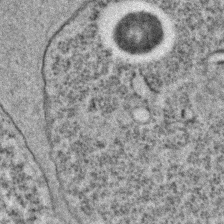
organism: C. elegans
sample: C. elegans embryo